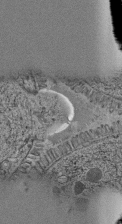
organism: C. elegans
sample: C. elegans pharynx